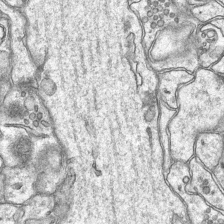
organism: Mouse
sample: CA1 Hippocampus